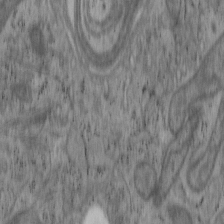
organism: Human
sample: HeLa cells